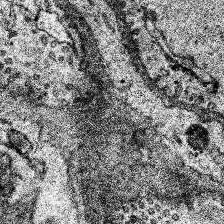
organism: Human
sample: Temporal Lobe